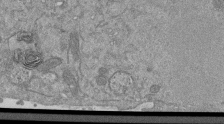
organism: Mouse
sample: ED-1 cell nuclei; centrioles